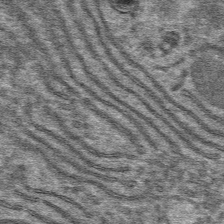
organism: Mouse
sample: Mouse hepatocytes